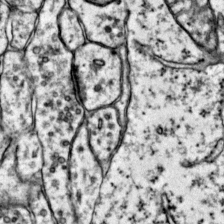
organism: Mouse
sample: Primary visual cortex